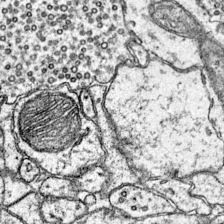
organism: Mouse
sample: Primary visual cortex